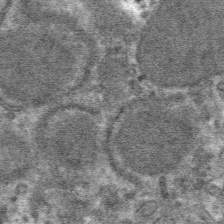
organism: Mouse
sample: Mouse hepatocytes